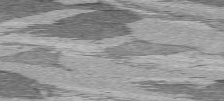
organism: C57BL Mouse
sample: Heart